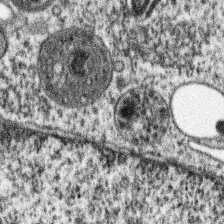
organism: Human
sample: HeLa cells